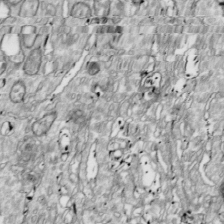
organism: Drosophila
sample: Cell division; meiosis; drosophila spermatocytes